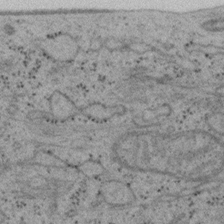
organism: Human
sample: HeLa cells